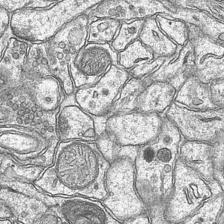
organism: Mouse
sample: CA1 Hippocampus